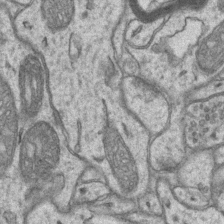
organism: Mouse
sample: CA1 Hippocampus